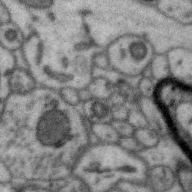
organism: Zebra finch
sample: Brain